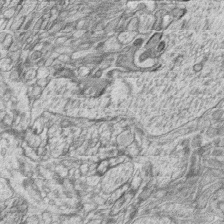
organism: Zebrafish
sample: synaptic ribbons in rod cells and cone cells